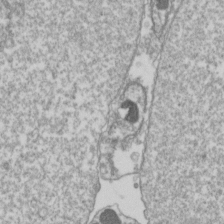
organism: Drosophila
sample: Cell division; meiosis; drosophila spermatocytes